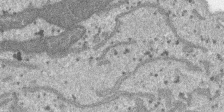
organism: Human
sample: Lung epithelial cells infected with SARS-CoV-2